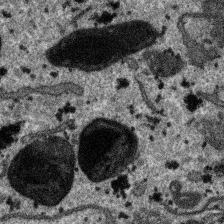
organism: Human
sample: Lung epithelial cells infected with SARS-CoV-2